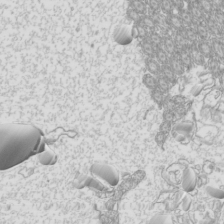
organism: Mouse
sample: Cilia; mouse epididymis